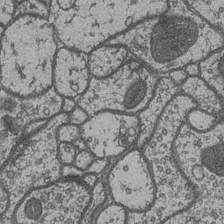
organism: Drosophila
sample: Optic medulla